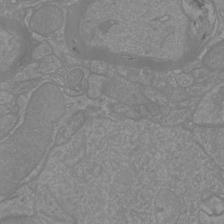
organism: Mouse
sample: Cortical neurons